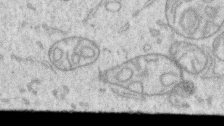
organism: Human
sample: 1205lu cells